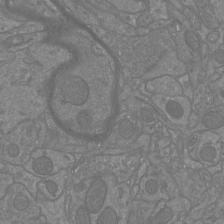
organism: Mouse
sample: Cortical neurons